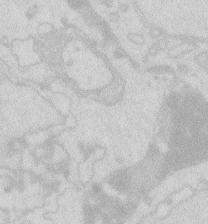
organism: Zebrafish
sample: Macrophage